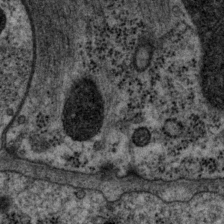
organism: P. pacificus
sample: Pharynx